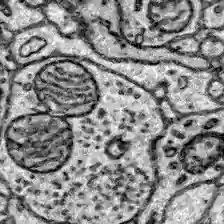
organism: Zebrafish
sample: Brain